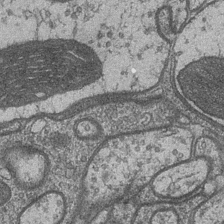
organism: Drosophila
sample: Optic medulla